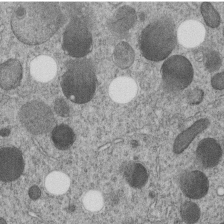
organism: C. elegans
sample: C. elegans embryo early stage